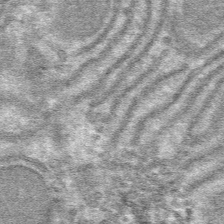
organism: Mouse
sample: Mouse hepatocytes